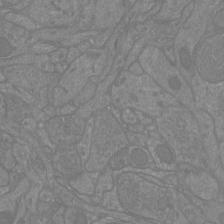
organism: Mouse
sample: Cortical neurons